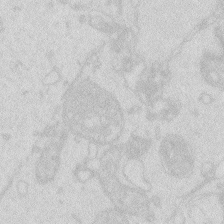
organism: Zebrafish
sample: Macrophage